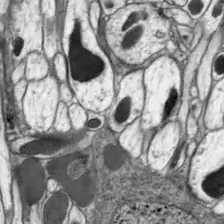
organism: Drosophila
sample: Optic lobe